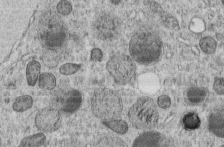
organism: C. elegans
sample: C. elegans embryo early stage